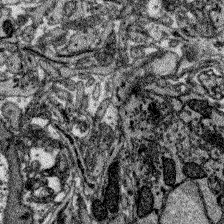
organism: Zebrafish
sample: Larval olfactory bulb